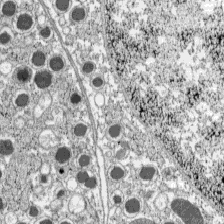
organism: C57BL Mouse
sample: Pancreatic islet